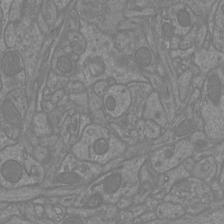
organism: Mouse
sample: Cortical neurons